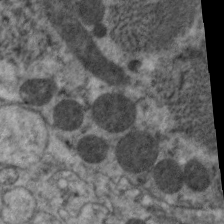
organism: C. elegans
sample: Pharynx